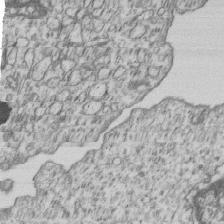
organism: Human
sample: MDA-MB-231 cells